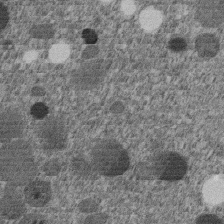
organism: C. elegans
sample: C. elegans embryo early stage